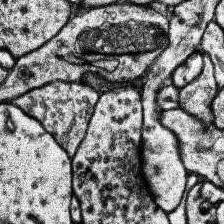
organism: Human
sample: Temporal Lobe